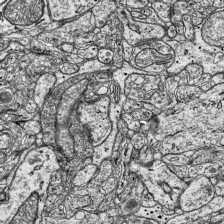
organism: Mouse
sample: Visual Cortex